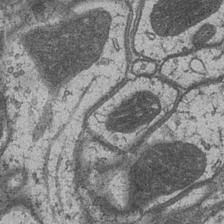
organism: Drosophila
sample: Optic medulla